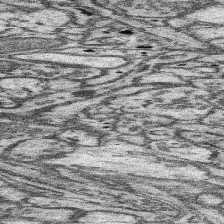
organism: Mouse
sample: Somatosensory cortex neuropil